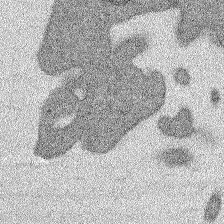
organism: Human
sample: HeLa cells